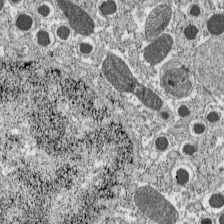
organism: C57BL Mouse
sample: Pancreatic islet